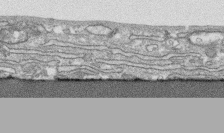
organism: Human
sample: CRL-1474